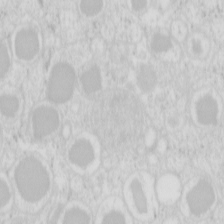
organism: Mouse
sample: Pancreas